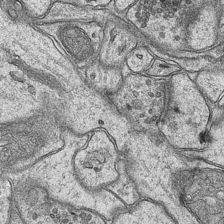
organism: Mouse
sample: CA1 Hippocampus